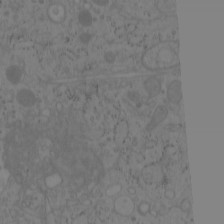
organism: Human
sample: HeLa cells